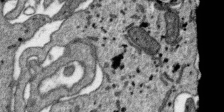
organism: Human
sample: Lung epithelial cells, uninfected (mock) control